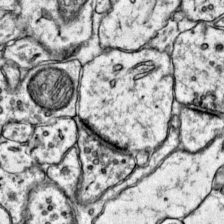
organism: Mouse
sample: Primary visual cortex